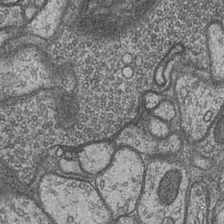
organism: Drosophila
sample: Optic medulla